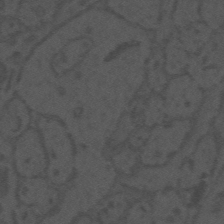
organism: Mouse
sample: Suprachiasmatic nucleus